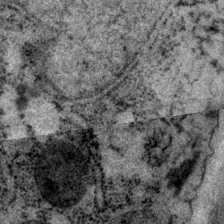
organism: P. pacificus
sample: Pharynx